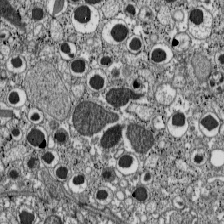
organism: C57BL Mouse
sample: Pancreatic islet